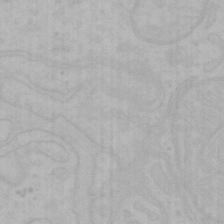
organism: Mouse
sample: Choroid plexus